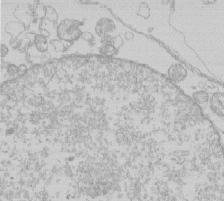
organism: Human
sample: Macrophage cells